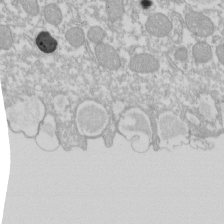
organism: Xenopus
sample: Cilia; centrioles in frog embryo cells